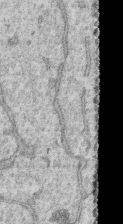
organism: Human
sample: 1205lu cells